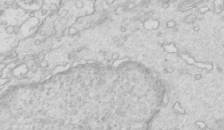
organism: Mouse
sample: Multiciliated cells